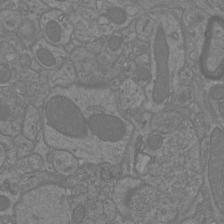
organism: Mouse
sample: Cortical neurons